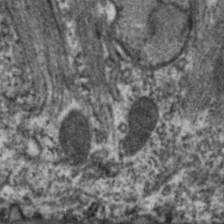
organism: C. elegans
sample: Pharynx